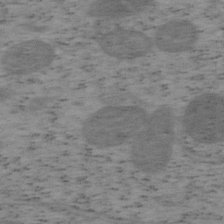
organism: Mouse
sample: OT-I killer T cells with ID8 ovarian cancer cells